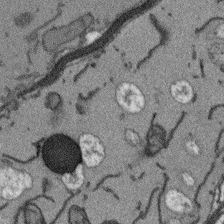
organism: Arabidopsis thaliana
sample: Root tip